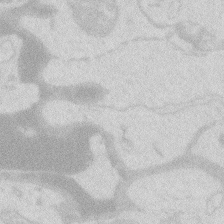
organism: Zebrafish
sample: Macrophage